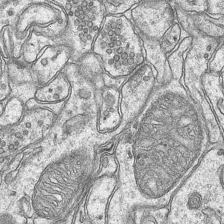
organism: Mouse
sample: CA1 Hippocampus